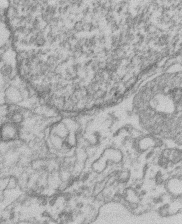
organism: Mouse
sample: T cell stromal cell synapse